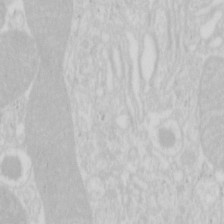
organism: Mouse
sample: Pancreas